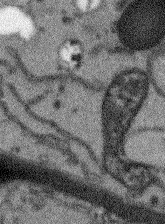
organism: Arabidopsis thaliana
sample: Root tip